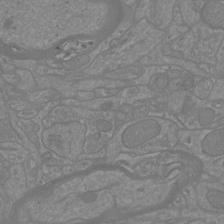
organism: Mouse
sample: Cortical neurons